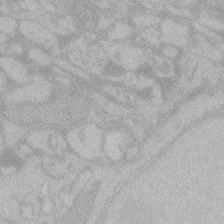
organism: Zebrafish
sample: Macrophage infected with Toxoplasma gondii